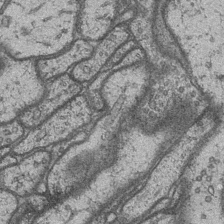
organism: Drosophila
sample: Optic medulla